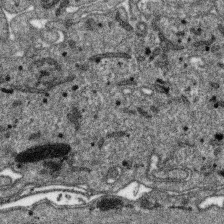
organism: Human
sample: Lung epithelial cells infected with SARS-CoV-2